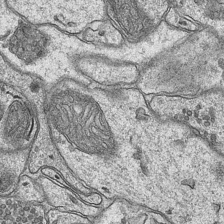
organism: Mouse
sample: CA1 Hippocampus